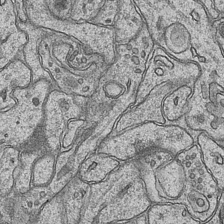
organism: Mouse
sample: CA1 Hippocampus